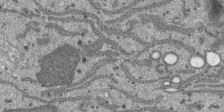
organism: Human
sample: Lung epithelial cells infected with SARS-CoV-2